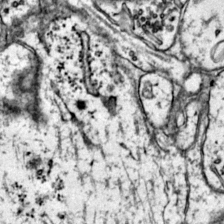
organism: Mouse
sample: Primary visual cortex